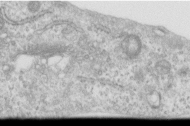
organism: Human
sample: Centriole in RPE cells